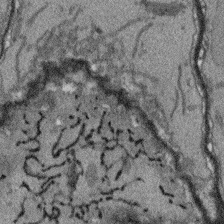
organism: Arabidopsis thaliana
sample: Root tip